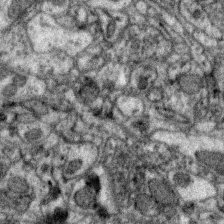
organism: Zebra finch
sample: Brain